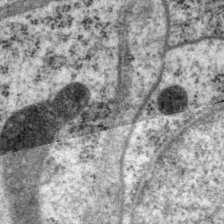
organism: P. pacificus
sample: Pharynx